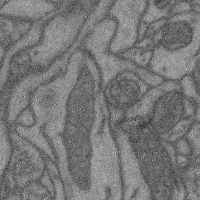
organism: Mouse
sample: Cerebral cortex